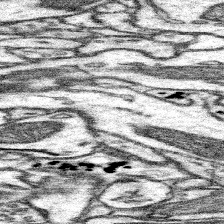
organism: Mouse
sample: Somatosensory cortex neuropil